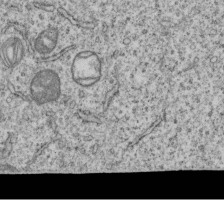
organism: Human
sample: MDA-MB-231 cells